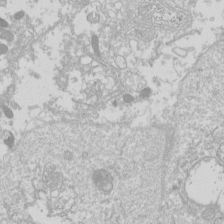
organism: Drosophila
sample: Cell division; meiosis; drosophila spermatocytes